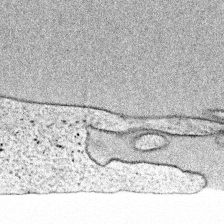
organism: Human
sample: HeLa cells